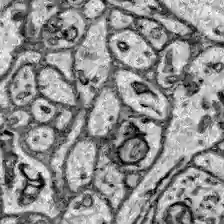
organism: Zebrafish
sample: Brain